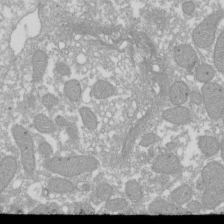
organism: Xenopus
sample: Cilia; centrioles in frog embryo cells